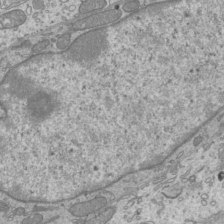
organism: Mouse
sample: Cilia; mouse epididymis